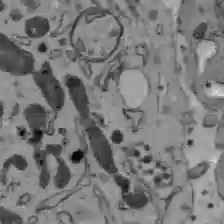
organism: C57BL Mouse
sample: Liver